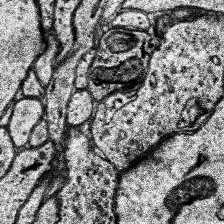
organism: Human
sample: Temporal Lobe